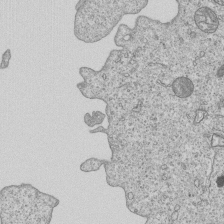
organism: Human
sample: MDA-MB-231 cells